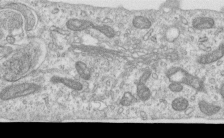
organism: Human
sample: Centriole in RPE cells